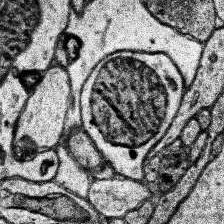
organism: Human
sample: Temporal Lobe